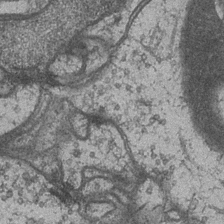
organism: Drosophila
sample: Optic medulla